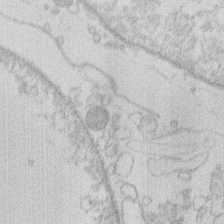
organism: Human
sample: Macrophage cells